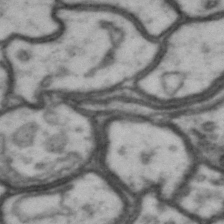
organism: Drosophila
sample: Brain